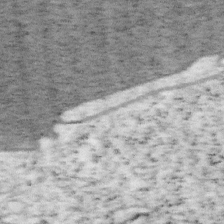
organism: Mouse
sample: OT-I killer T cells with ID8 ovarian cancer cells